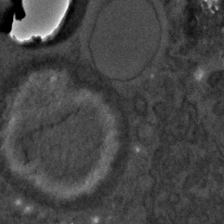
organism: C. elegans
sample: C. elegans embryo